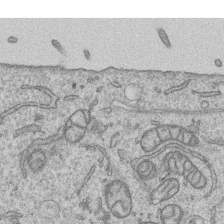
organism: Human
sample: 1205lu cells